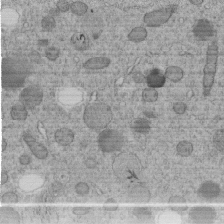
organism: C. elegans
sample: C. elegans embryo early stage